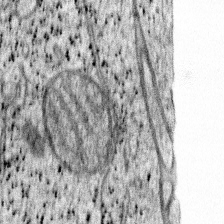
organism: Human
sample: HeLa cells